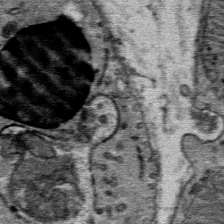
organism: Mouse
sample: Mouse Salivary gland